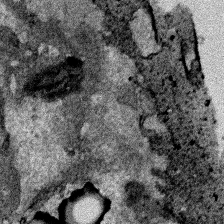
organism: Human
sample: Mitochondria in HCT116 cells